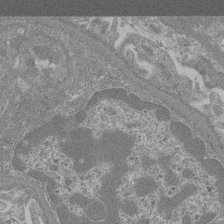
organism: Mouse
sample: Glomerulus